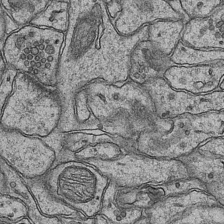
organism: Mouse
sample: CA1 Hippocampus